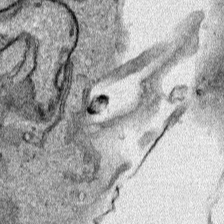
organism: Human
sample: Mitochondria in HCT116 cells